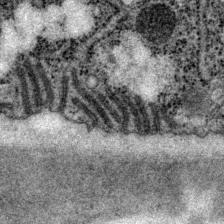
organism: P. pacificus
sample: Pharynx